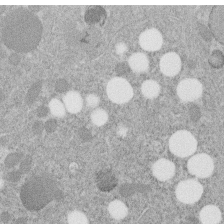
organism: C. elegans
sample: C. elegans embryo early stage